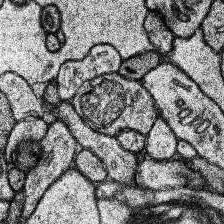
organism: Human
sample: Temporal Lobe